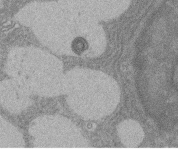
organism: Rat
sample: Salivary granule